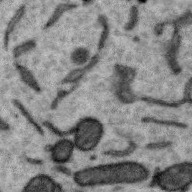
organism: Zebra finch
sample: Brain